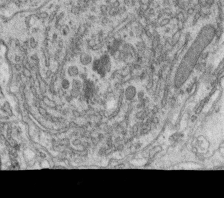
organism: C. elegans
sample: C. elegans oocyte; sperm cells